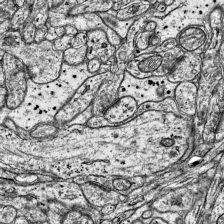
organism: Mouse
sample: Visual Cortex